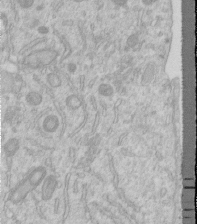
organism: Human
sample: Centriole in RPE cells